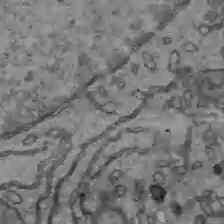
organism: C57BL Mouse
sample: Liver